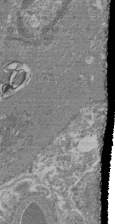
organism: Mouse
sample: Glomerulus